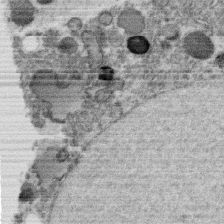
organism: C. elegans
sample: C. elegans oocyte; sperm cells